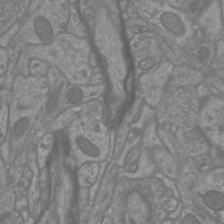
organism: Mouse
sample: Cortical neurons